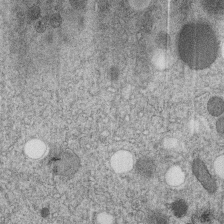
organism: C. elegans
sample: C. elegans embryo early stage